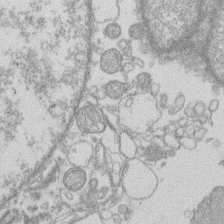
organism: Human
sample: Macrophage cells